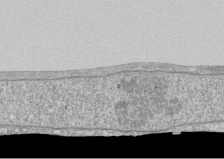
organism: Human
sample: CRL-1474